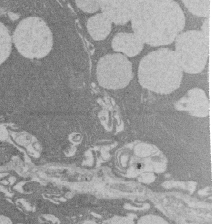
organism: Rat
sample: Salivary granule